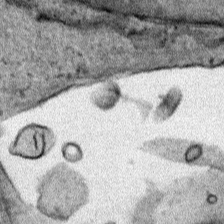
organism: Human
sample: Mitochondria in HCT116 cells